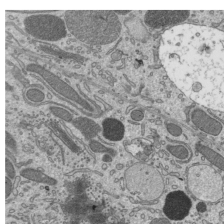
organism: Mouse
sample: Mouse epididymis efferent ductule cilia